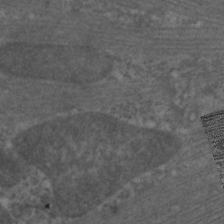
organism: C. elegans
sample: Pharynx